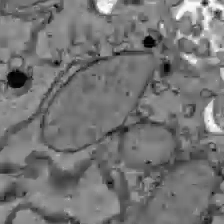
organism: C57BL Mouse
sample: Liver